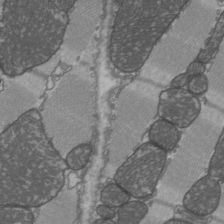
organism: C57BL Mouse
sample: Heart